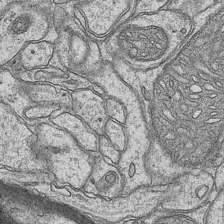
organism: Mouse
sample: CA1 Hippocampus